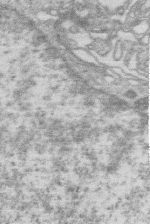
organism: Human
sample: Macrophage cells